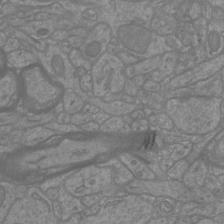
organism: Mouse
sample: Cortical neurons